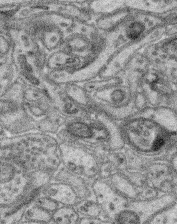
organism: Mouse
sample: Retina